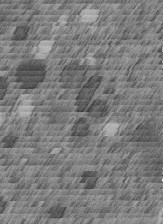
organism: C. elegans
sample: C. elegans embryo early stage